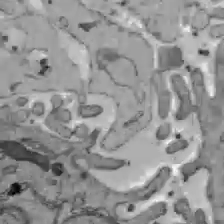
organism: C57BL Mouse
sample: Liver